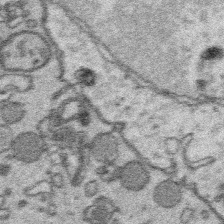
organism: Platynereis dumerilii